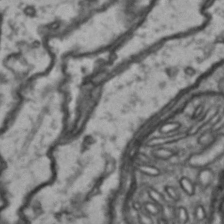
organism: Drosophila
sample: Brain